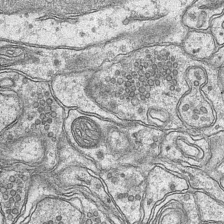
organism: Mouse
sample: CA1 Hippocampus